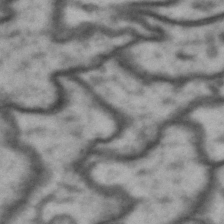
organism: Drosophila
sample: Brain